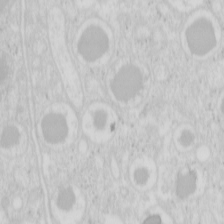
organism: Mouse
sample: Pancreas